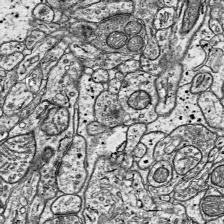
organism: Mouse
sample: Visual Cortex